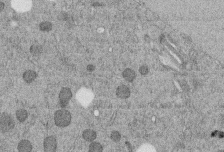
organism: C. elegans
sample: C. elegans embryo early stage